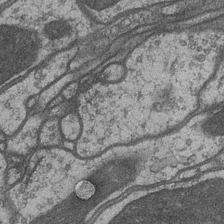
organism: Drosophila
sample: Optic medulla